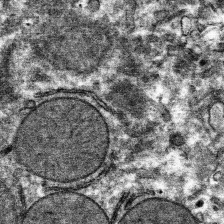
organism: Mouse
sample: Mouse hepatocytes